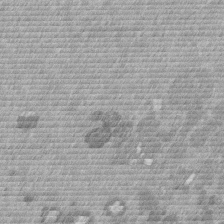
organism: Mouse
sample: Dividing mouse embryo 1 cell stage